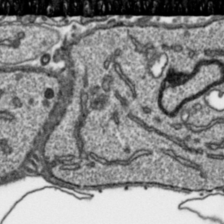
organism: Toxoplasma gondii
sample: Parasites in a vacuole inside a host cell